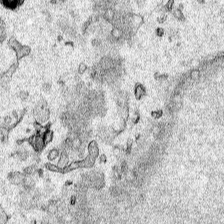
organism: Human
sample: Mitochondria in HCT116 cells